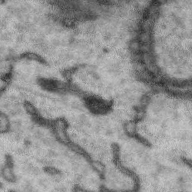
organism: Zebra finch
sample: Brain